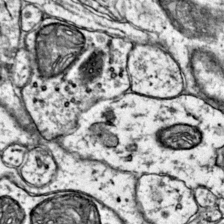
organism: Mouse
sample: Primary visual cortex